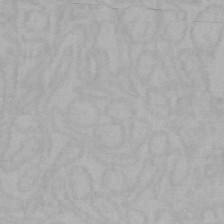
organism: Mouse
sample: Choroid plexus